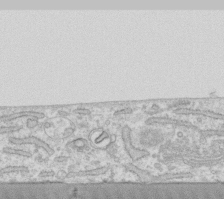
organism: Human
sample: Fibroblast cells